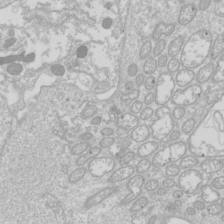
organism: Drosophila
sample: Cell division; meiosis; drosophila spermatocytes